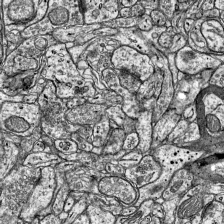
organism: Mouse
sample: Visual Cortex